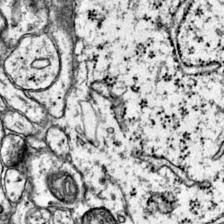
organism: Mouse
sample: Primary visual cortex